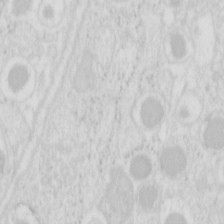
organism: Mouse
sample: Pancreas